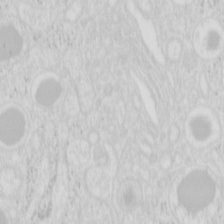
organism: Mouse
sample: Pancreas